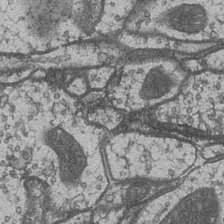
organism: Drosophila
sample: Optic medulla